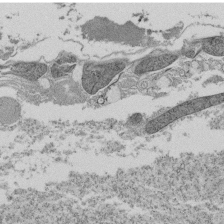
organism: Tetrahymena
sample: Cilia in tetrahymena